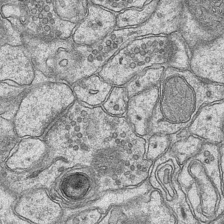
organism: Mouse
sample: CA1 Hippocampus